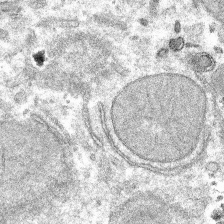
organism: Mouse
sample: Mouse hepatocytes